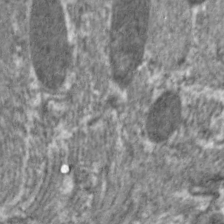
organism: C. elegans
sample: Pharynx